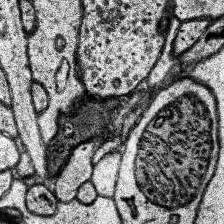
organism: Human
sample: Temporal Lobe